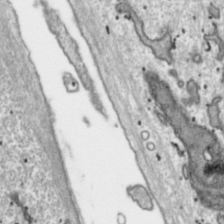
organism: Toxoplasma gondii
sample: Parasites in a vacuole inside a host cell